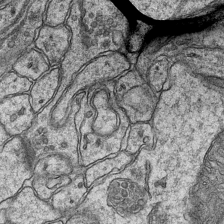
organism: Mouse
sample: CA1 Hippocampus